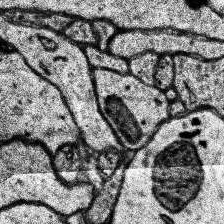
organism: Human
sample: Temporal Lobe